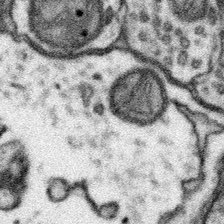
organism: Mouse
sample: Somatosensory cortex neuropil